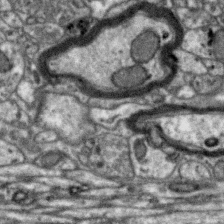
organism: Zebra finch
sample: Brain